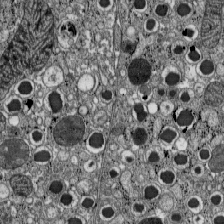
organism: C57BL Mouse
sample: Pancreatic islet